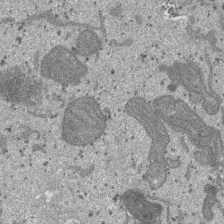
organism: Human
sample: Lung epithelial cells infected with SARS-CoV-2